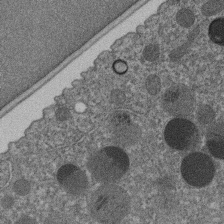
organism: C. elegans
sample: C. elegans embryo early stage